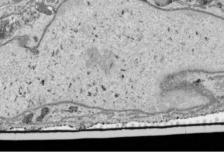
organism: Human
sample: Mitochondria in HCT116 cells